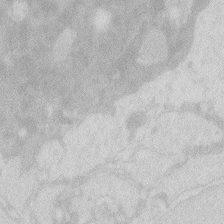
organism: Zebrafish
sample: Macrophage